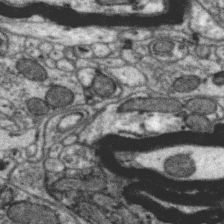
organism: Zebra finch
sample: Brain